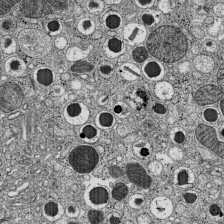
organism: C57BL Mouse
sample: Pancreatic islet